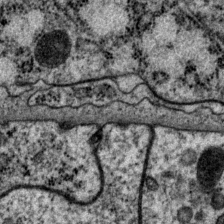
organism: P. pacificus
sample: Pharynx